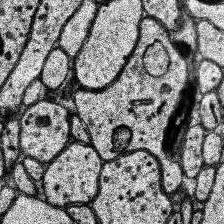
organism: Human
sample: Temporal Lobe